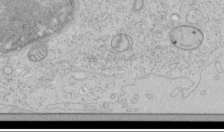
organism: Human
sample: Mitochondria in HCT116 cells